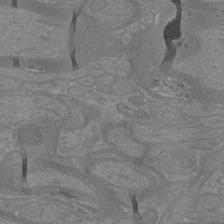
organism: Mouse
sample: Cortical neurons